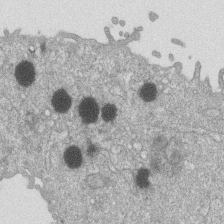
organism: Human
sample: HeLa cell HIV synapse